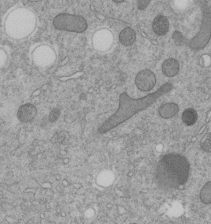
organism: C. elegans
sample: C. elegans embryo early stage